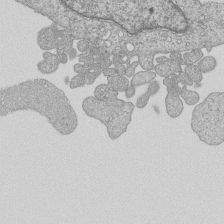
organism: Human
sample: MDA-MB-231 cells